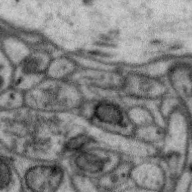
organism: Zebra finch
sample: Brain